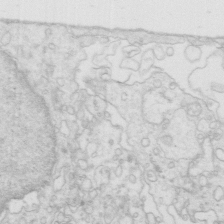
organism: Mouse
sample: Multiciliated cells